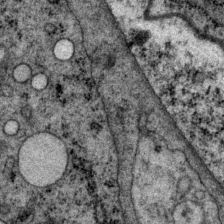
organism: P. pacificus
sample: Pharynx